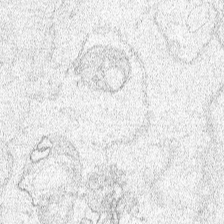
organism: Human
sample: Mitochondria in HCT116 cells